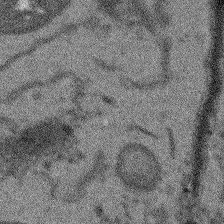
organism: Arabidopsis thaliana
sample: Root tip